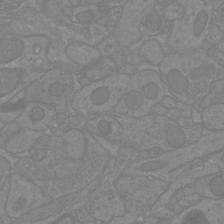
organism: Mouse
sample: Cortical neurons